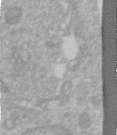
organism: Human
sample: Centriole in RPE cells